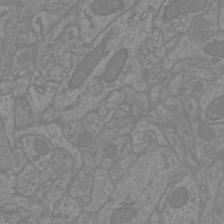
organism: Mouse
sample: Cortical neurons